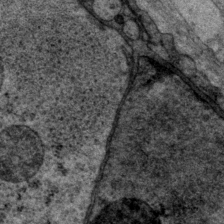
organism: P. pacificus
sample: Pharynx